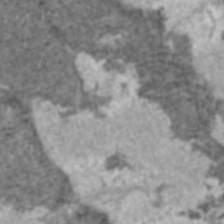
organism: C57BL Mouse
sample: Heart